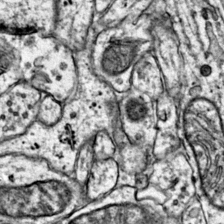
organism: Mouse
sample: Primary visual cortex